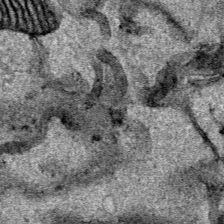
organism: Human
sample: Mitochondria in HCT116 cells